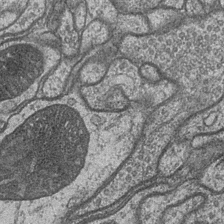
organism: Drosophila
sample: Optic medulla